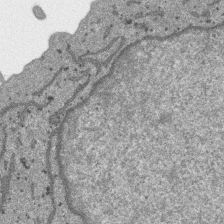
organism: Human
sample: Lung epithelial cells infected with SARS-CoV-2